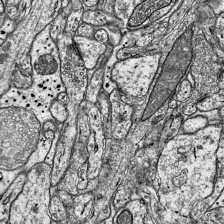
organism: Mouse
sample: Visual Cortex